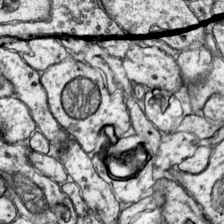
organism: Mouse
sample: Primary visual cortex